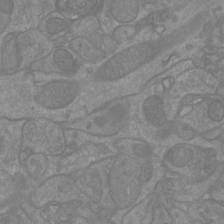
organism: Mouse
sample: Cortical neurons